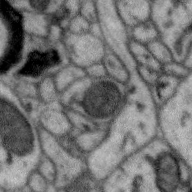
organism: Zebra finch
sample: Brain